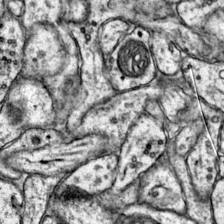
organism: Mouse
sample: Primary visual cortex